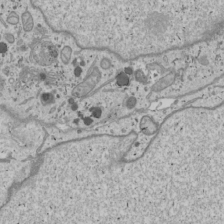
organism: Human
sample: Mitochondria in U2OS cells